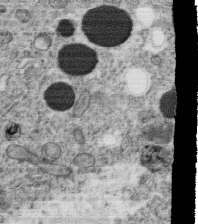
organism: C. elegans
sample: C. elegans oocyte; sperm cells